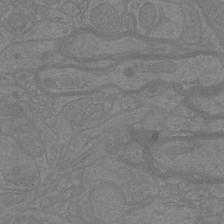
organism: Mouse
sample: Cortical neurons